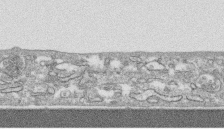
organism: Human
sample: CRL-1474